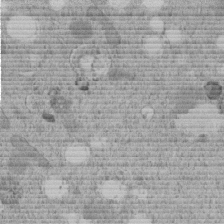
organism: C. elegans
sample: C. elegans embryo early stage